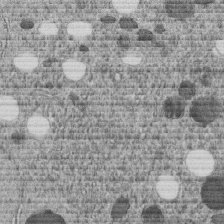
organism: C. elegans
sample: C. elegans embryo early stage